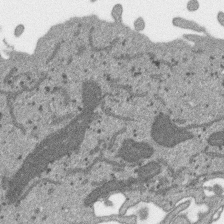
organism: Human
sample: Lung epithelial cells infected with SARS-CoV-2